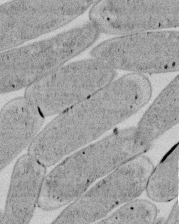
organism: E. coli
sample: Bacterial nucleoid